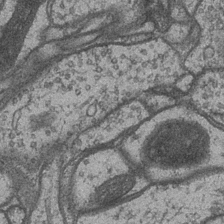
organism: Drosophila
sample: Optic medulla